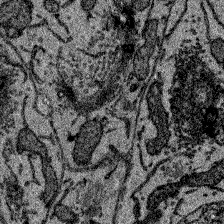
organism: Zebrafish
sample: Larval olfactory bulb